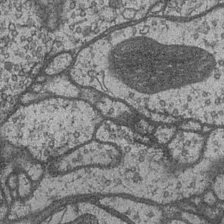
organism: Drosophila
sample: Optic medulla